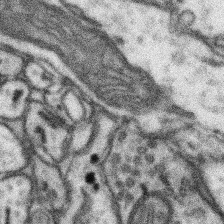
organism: Mouse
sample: Somatosensory cortex neuropil